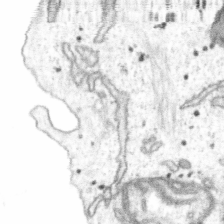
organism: Human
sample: HeLa cells